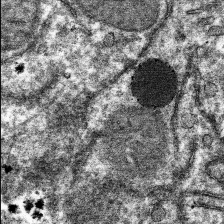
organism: Mouse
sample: Mouse hepatocytes